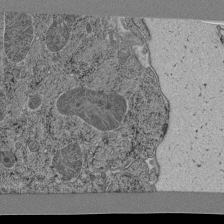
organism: C. elegans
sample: C. elegans pharynx